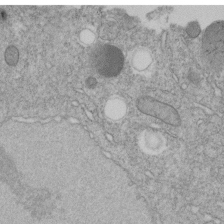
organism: C. elegans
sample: C. elegans embryo early stage